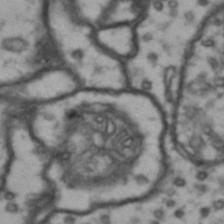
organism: Drosophila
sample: Brain